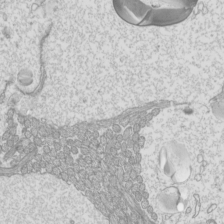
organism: Mouse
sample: Cilia; mouse epididymis